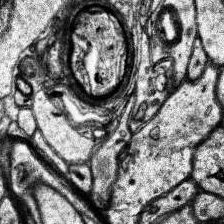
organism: Human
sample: Temporal Lobe